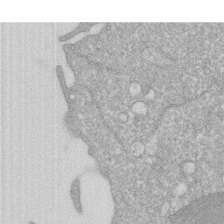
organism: Human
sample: HIV infected U937 cells